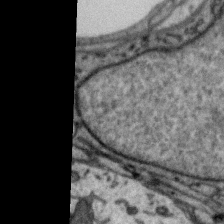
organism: Zebra finch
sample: Brain